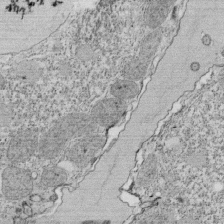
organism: Tetrahymena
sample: Cilia in tetrahymena